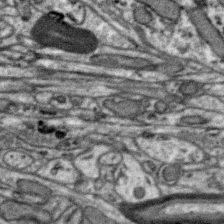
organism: Zebra finch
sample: Brain